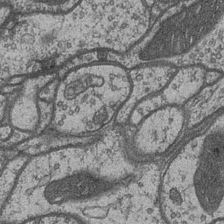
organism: Drosophila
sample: Optic medulla